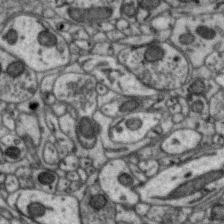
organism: Zebra finch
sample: Brain